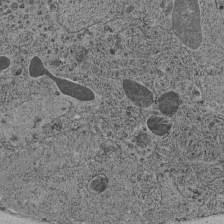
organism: C. elegans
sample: C. elegans pharynx